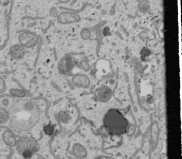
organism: Human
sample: Mitochondria in U2OS cells